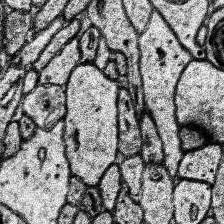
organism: Human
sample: Temporal Lobe